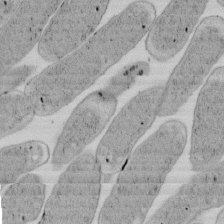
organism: E. coli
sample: Bacterial nucleoid